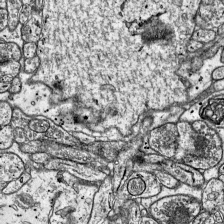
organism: Mouse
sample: Visual Cortex